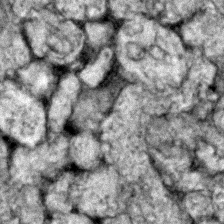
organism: Zebrafish